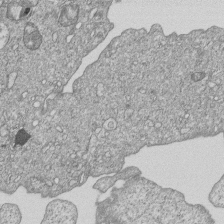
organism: Human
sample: MDA-MB-231 cells